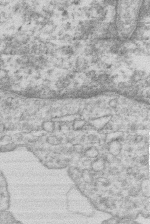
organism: Human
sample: Macrophage cells